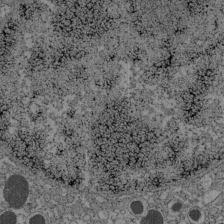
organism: C57BL Mouse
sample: Pancreatic islet